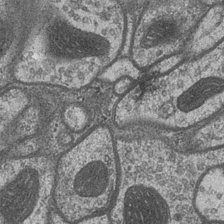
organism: Drosophila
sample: Optic medulla